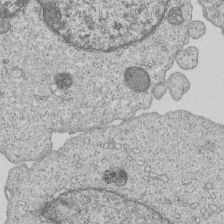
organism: Human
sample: MDA-MB-231 cells